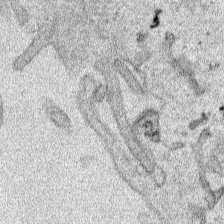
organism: Human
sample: Mitochondria in HCT116 cells